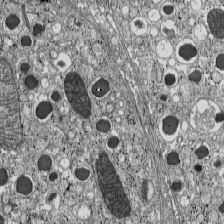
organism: C57BL Mouse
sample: Pancreatic islet